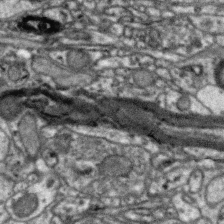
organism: Zebra finch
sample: Brain